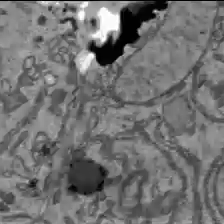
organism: C57BL Mouse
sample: Liver